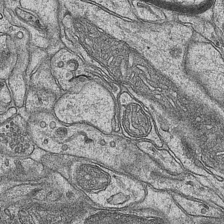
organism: Mouse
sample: CA1 Hippocampus